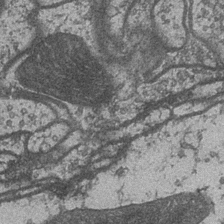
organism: Drosophila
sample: Optic medulla